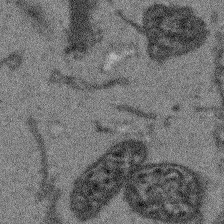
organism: Arabidopsis thaliana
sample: Root tip